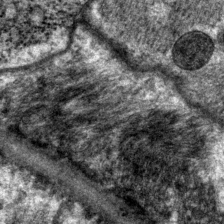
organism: P. pacificus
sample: Pharynx